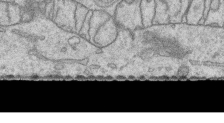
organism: Human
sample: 1205lu cells